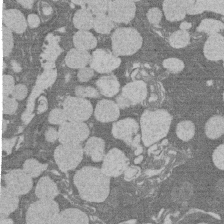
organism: Rat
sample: Salivary granule